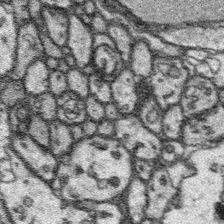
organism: Platynereis dumerilii